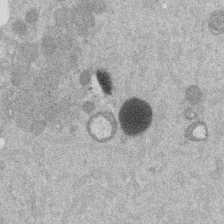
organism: Mouse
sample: Dividing mouse embryo 1 cell stage